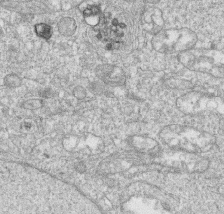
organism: Human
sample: HeLa cell HIV synapse